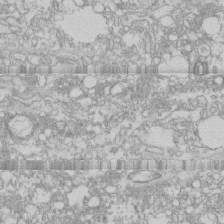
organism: Human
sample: CRL-1474